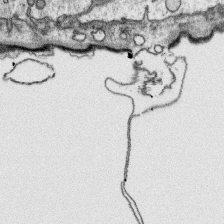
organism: Platynereis dumerilii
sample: Parapodia